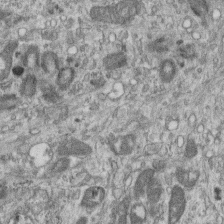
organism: Mouse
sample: Centriole in ependymal cells